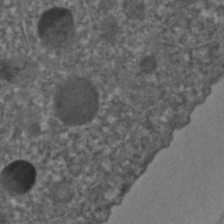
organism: C. elegans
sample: C. elegans embryo